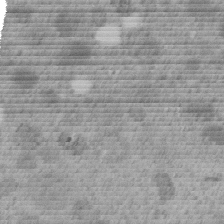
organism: C. elegans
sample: C. elegans embryo early stage